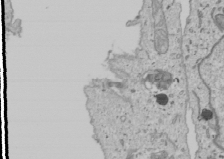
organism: Human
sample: Mitochondria in U2OS cells